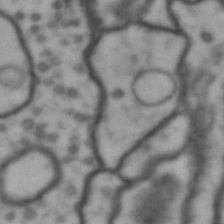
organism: Drosophila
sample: Brain